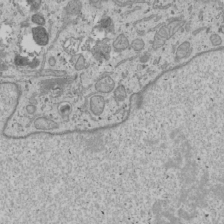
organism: Human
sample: Mitochondria in U2OS cells